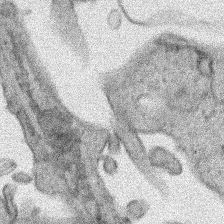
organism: Human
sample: Mitochondria in HCT116 cells